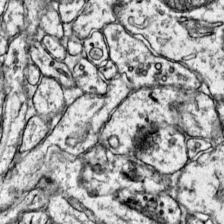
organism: Mouse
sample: Primary visual cortex